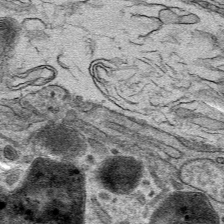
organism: Mouse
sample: Mouse hepatocytes